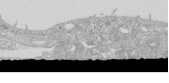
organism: Human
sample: Caco-2 cells